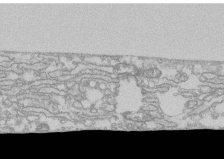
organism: Human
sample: CRL-1474